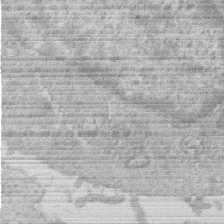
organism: Human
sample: Macrophage cells